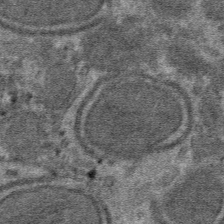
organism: Mouse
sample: Mouse hepatocytes